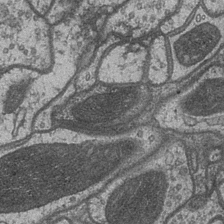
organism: Drosophila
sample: Optic medulla